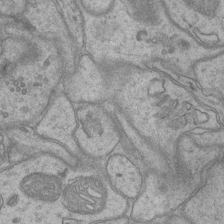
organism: Mouse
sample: CA1 Hippocampus